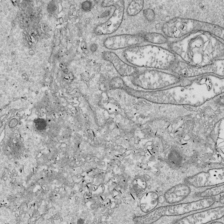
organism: Drosophila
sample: Cell division; meiosis; drosophila spermatocytes